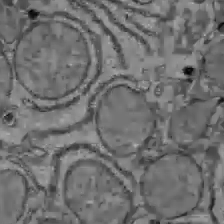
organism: C57BL Mouse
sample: Liver